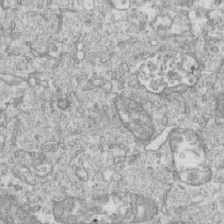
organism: Mouse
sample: Activated OT-1 CD8+ T cells